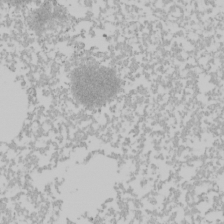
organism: Mouse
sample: Cancer cell death in ED-1 cells